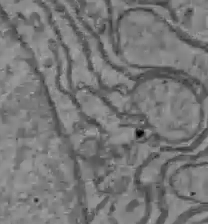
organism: C57BL Mouse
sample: Liver